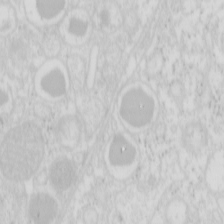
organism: Mouse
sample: Pancreas